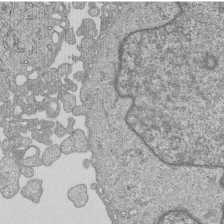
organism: Human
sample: MDA-MB-231 cells